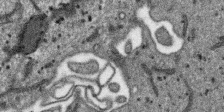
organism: Human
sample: Lung epithelial cells infected with SARS-CoV-2